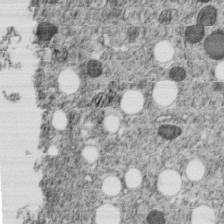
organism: C. elegans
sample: C. elegans embryo early stage